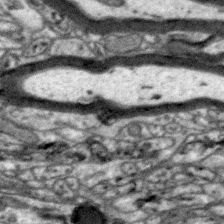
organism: Zebra finch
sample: Brain